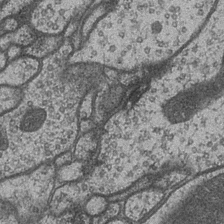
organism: Drosophila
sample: Optic medulla